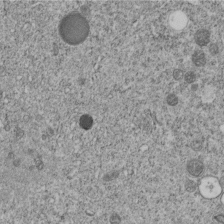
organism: C. elegans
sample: C. elegans embryo early stage